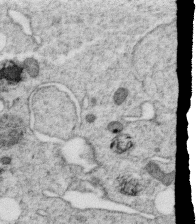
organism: C. elegans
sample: C. elegans oocyte; sperm cells